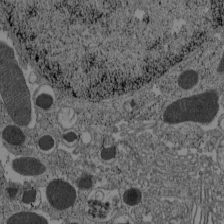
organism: C57BL Mouse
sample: Pancreatic islet